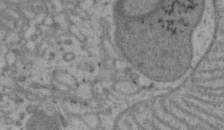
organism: Human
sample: HeLa cells